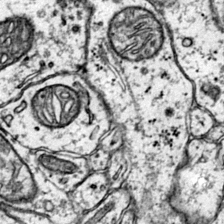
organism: Mouse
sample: Primary visual cortex